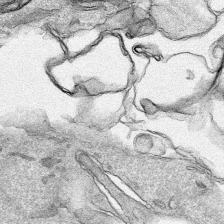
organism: Human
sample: Mitochondria in HCT116 cells